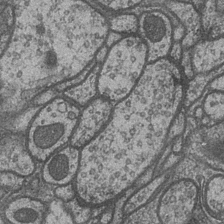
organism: Drosophila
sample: Optic medulla